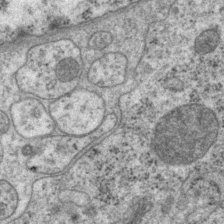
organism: P. pacificus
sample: Pharynx